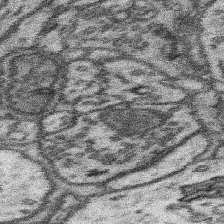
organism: Mouse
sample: Somatosensory cortex neuropil